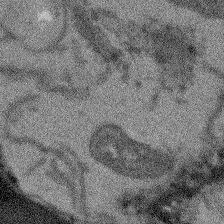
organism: Arabidopsis thaliana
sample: Root tip